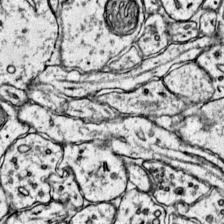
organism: Mouse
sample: Primary visual cortex